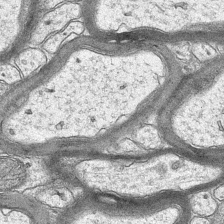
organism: Mouse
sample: CA1 Hippocampus